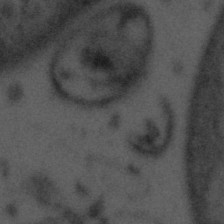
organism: Tuwongella immobilis